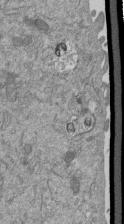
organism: Mouse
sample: ED-1 cell nuclei; centrioles